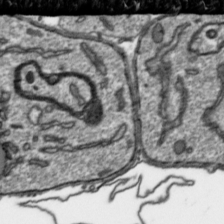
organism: Toxoplasma gondii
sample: Parasites in a vacuole inside a host cell